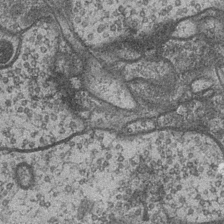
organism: Drosophila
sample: Optic medulla